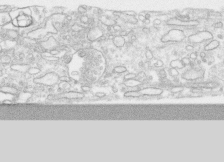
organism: Human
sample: CRL-1474